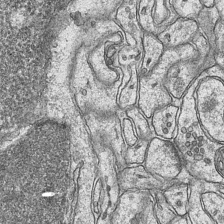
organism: Mouse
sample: CA1 Hippocampus